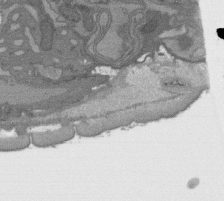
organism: C. elegans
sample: AFD neurons C. elegans